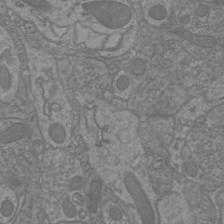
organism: Mouse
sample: Cortical neurons